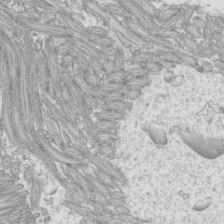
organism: Mouse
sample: Cilia; mouse epididymis